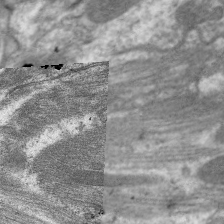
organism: C. elegans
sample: Pharynx